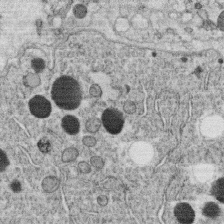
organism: C. elegans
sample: C. elegans oocyte; sperm cells